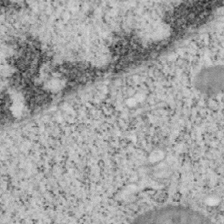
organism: Mouse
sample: OT-I killer T cells with ID8 ovarian cancer cells